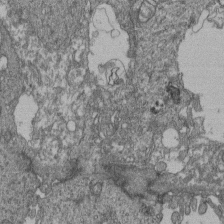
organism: Human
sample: Retinal organoid Rod and Cone cells